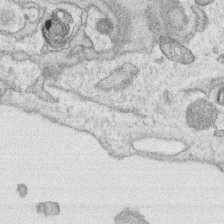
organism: Human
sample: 1205lu cells